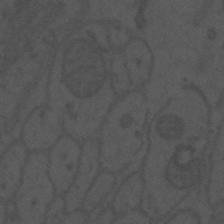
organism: Mouse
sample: Suprachiasmatic nucleus